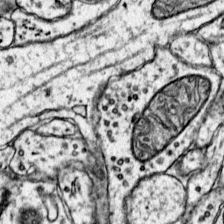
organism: Mouse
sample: Primary visual cortex